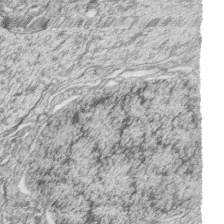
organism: Zebrafish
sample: synaptic ribbons in rod cells and cone cells